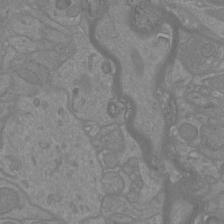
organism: Mouse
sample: Cortical neurons